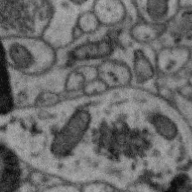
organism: Zebra finch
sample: Brain